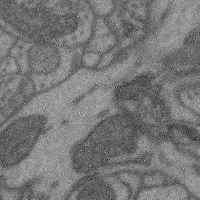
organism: Mouse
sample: Cerebral cortex